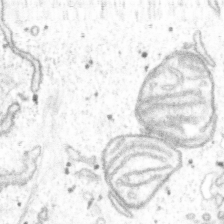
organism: Human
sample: HeLa cells